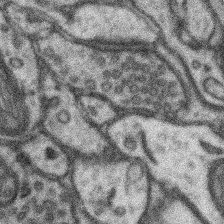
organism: Mouse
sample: Somatosensory cortex neuropil